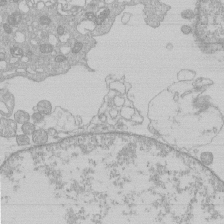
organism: Human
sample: Macrophage cells